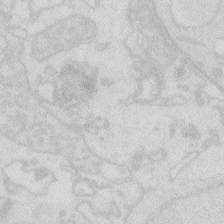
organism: Zebrafish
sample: Macrophage